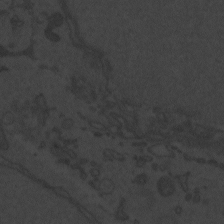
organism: Zebrafish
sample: Macrophage infected with Toxoplasma gondii